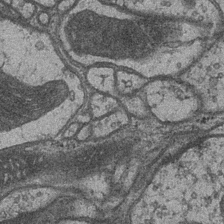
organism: Drosophila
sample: Optic medulla